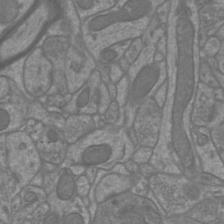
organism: Mouse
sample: Cortical neurons